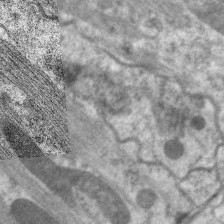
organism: C. elegans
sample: Pharynx